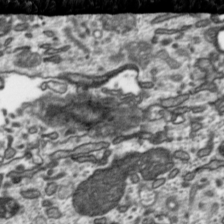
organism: Toxoplasma gondii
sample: Parasites in a vacuole inside a host cell